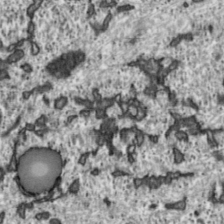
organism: Toxoplasma gondii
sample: Parasites in a vacuole inside a host cell